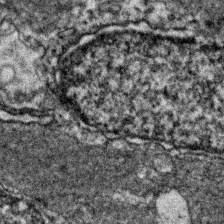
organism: Zebrafish